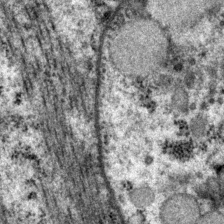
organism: P. pacificus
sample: Pharynx